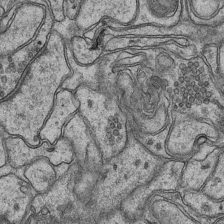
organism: Mouse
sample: CA1 Hippocampus